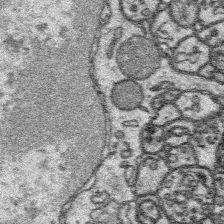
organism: Platynereis dumerilii